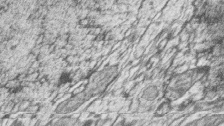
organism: Zebrafish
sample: synaptic ribbons in rod cells and cone cells